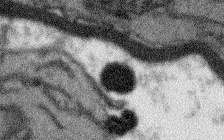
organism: Arabidopsis thaliana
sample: Root tip